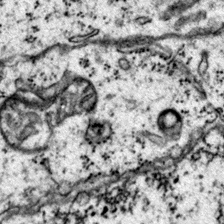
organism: Mouse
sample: Primary visual cortex